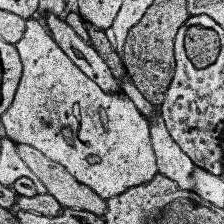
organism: Human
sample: Temporal Lobe